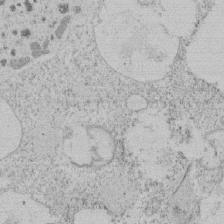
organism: Tetrahymena